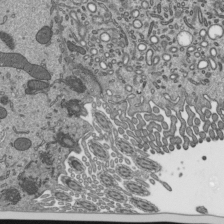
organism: Mouse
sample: Mouse epididymis efferent ductule cilia